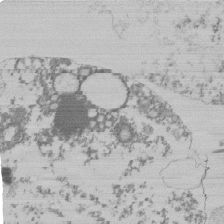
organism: Mouse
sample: Activated Pmel transgenic CD8+ T Cells